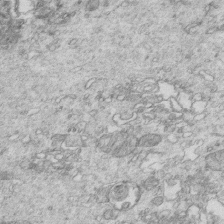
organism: Mouse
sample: Multiciliated cells